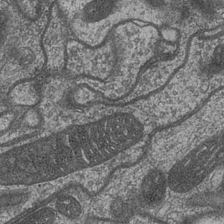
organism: Drosophila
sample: Optic medulla